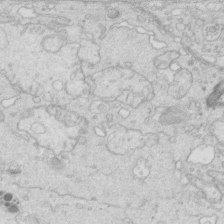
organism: Mouse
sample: Multiciliated cells